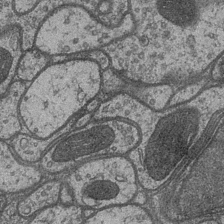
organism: Drosophila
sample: Optic medulla